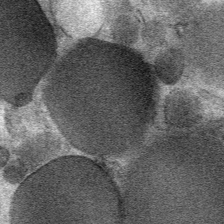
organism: Mouse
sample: Mouse Salivary gland